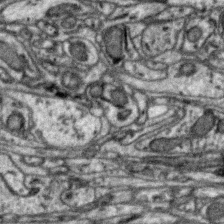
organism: Zebra finch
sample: Brain